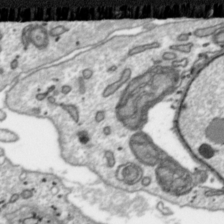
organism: Toxoplasma gondii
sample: Parasites in a vacuole inside a host cell